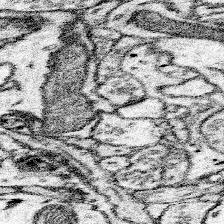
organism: Mouse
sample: Somatosensory cortex neuropil